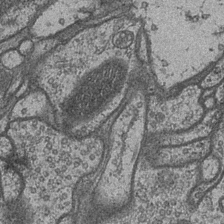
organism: Drosophila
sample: Optic medulla